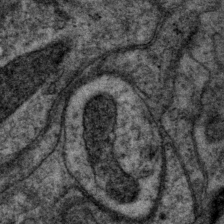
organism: P. pacificus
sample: Pharynx